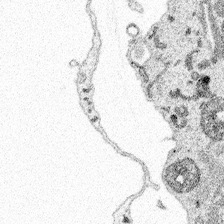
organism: Spongilla lacustris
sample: Multiple